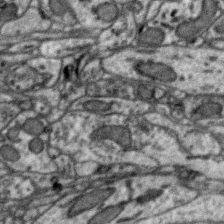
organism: Zebra finch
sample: Brain